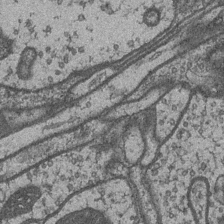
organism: Drosophila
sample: Optic medulla